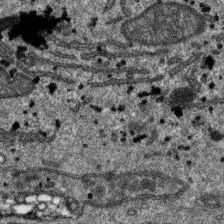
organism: Human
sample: Lung epithelial cells infected with SARS-CoV-2